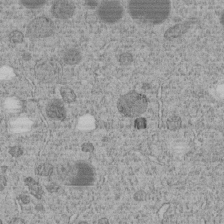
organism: C. elegans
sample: C. elegans embryo early stage